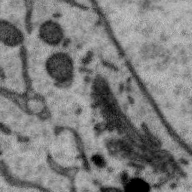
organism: Zebra finch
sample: Brain